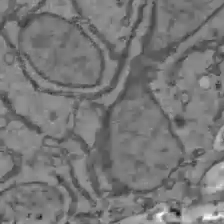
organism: C57BL Mouse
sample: Liver